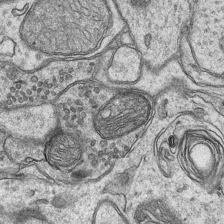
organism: Mouse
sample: CA1 Hippocampus